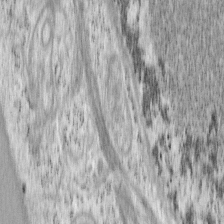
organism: Human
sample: HeLa cells